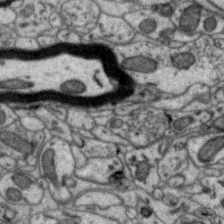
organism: Zebra finch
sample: Brain